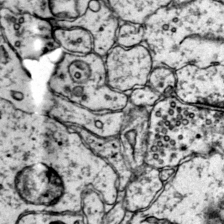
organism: Mouse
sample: Primary visual cortex